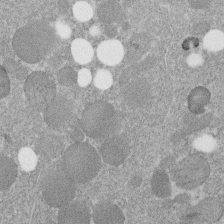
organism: C. elegans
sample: C. elegans embryo early stage